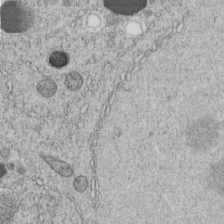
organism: C. elegans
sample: C. elegans embryo early stage